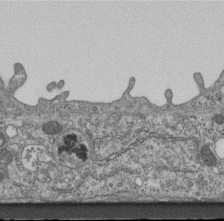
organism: Mouse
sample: Centriole in ependymal cells